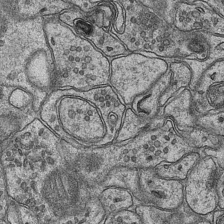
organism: Mouse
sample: CA1 Hippocampus